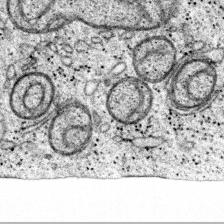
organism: Human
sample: HeLa cells